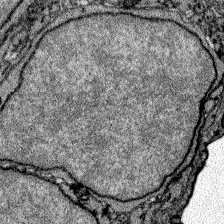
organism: Zebrafish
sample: Larval olfactory bulb